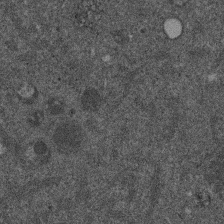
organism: Mouse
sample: Dividing mouse embryo 1 cell stage